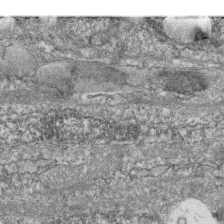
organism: Zebrafish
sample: Cilia; retinal pigment epithelium